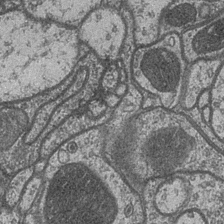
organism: Drosophila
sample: Optic medulla